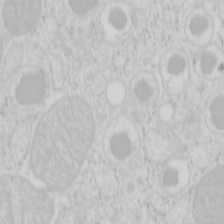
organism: Mouse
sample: Pancreas